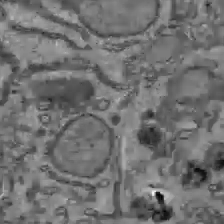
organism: C57BL Mouse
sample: Liver